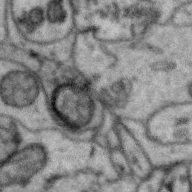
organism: Zebra finch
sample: Brain